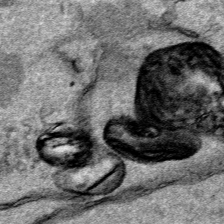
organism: Human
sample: Mitochondria in HCT116 cells